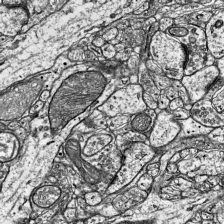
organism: Mouse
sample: Visual Cortex